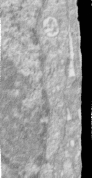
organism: Human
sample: Centriole in RPE cells